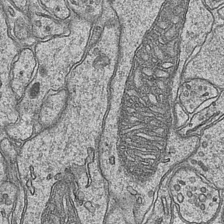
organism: Mouse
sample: CA1 Hippocampus